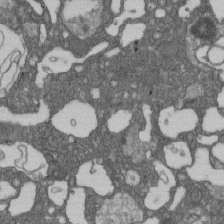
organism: Drosophila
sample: Nephrocyte